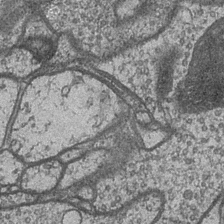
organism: Drosophila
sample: Optic medulla